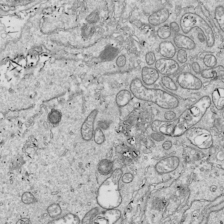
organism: Drosophila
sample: Cell division; meiosis; drosophila spermatocytes